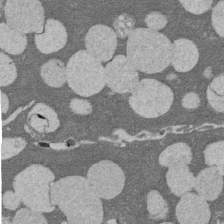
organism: Rat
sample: Salivary granule